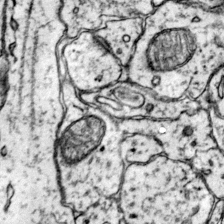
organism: Mouse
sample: Primary visual cortex